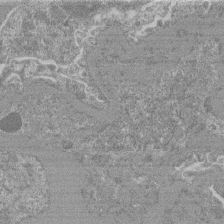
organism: Mouse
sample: Glomerulus